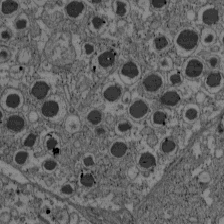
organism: C57BL Mouse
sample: Pancreatic islet